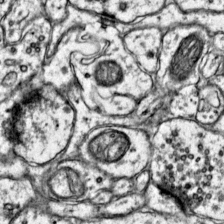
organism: Mouse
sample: Primary visual cortex